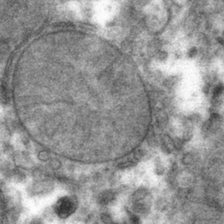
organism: Mouse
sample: Mouse hepatocytes